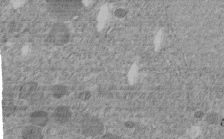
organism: C. elegans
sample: C. elegans embryo early stage